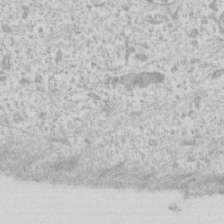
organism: Human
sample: Fibroblast cells